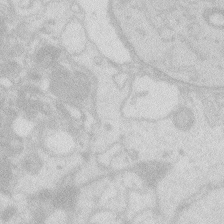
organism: Zebrafish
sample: Macrophage